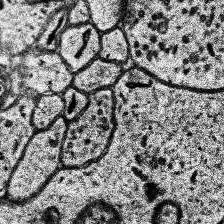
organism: Human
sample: Temporal Lobe